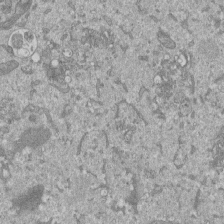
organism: Mouse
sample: ED-1 cell nuclei; centrioles